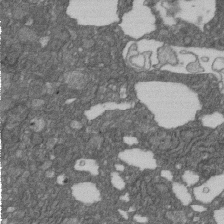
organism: Drosophila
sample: Nephrocyte